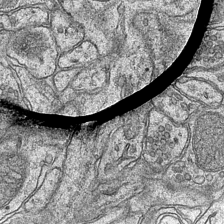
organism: Mouse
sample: CA1 Hippocampus